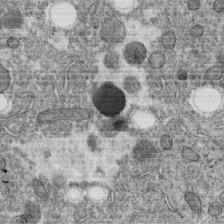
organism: C. elegans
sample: C. elegans oocyte; sperm cells